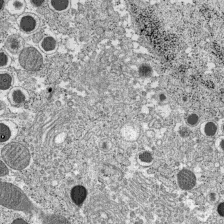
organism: C57BL Mouse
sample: Pancreatic islet